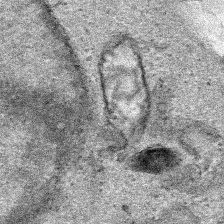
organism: Human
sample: Mitochondria in HCT116 cells